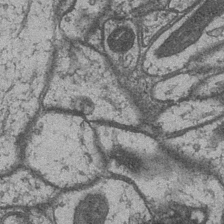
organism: Drosophila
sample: Optic medulla